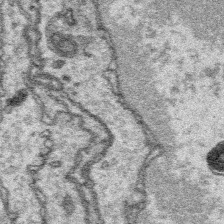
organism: Platynereis dumerilii